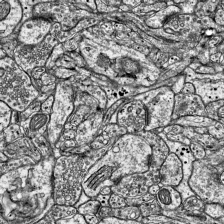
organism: Mouse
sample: Visual Cortex